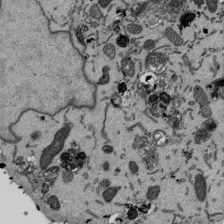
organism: Mouse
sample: ED-1 cell nuclei; centrioles